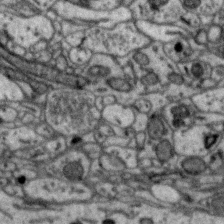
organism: Zebra finch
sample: Brain